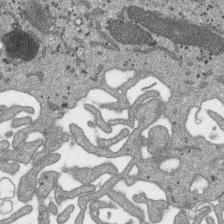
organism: Human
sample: Lung epithelial cells infected with SARS-CoV-2